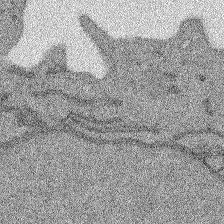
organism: Human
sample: HeLa cells